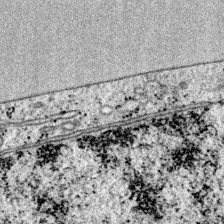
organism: Human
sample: HeLa cells